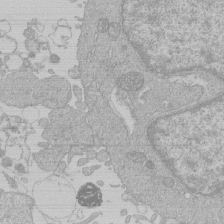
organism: Human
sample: Macrophage cells